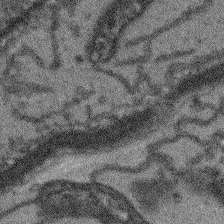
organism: Arabidopsis thaliana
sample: Root tip